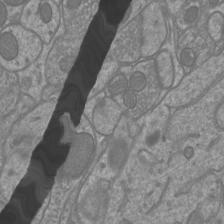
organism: Mouse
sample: Cortical neurons